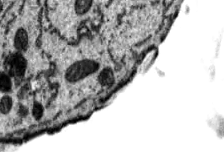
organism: Human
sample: HeLa cells